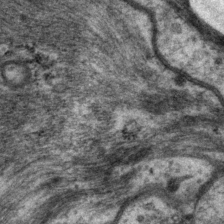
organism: P. pacificus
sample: Pharynx